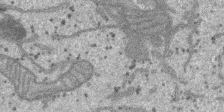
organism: Human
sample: Lung epithelial cells infected with SARS-CoV-2